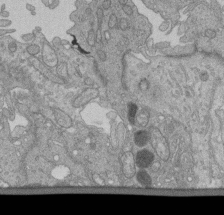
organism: Human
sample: Retinal organoid Rod and Cone cells